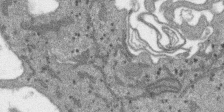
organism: Human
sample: Lung epithelial cells infected with SARS-CoV-2